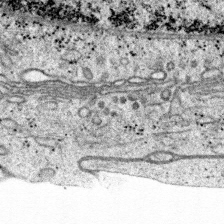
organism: Human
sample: HeLa cells